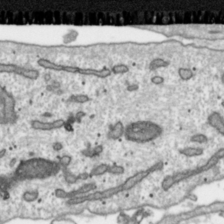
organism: Toxoplasma gondii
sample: Parasites in a vacuole inside a host cell